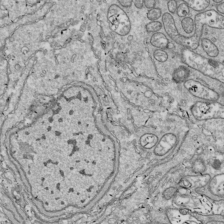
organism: Drosophila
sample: Cell division; meiosis; drosophila spermatocytes